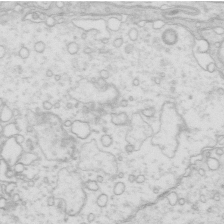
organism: Mouse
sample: Multiciliated cells